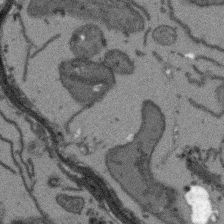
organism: Arabidopsis thaliana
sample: Root tip